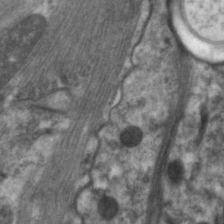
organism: C. elegans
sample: Pharynx